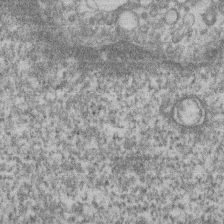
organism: Mouse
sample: T cell stromal cell synapse